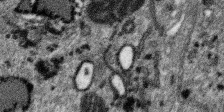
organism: Human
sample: Lung epithelial cells infected with SARS-CoV-2